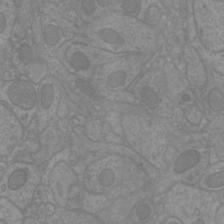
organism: Mouse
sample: Cortical neurons